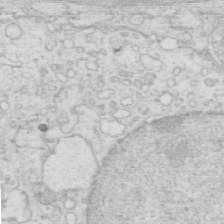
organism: Mouse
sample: Multiciliated cells